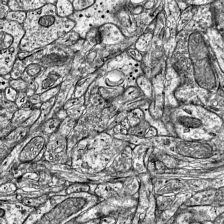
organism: Mouse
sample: Visual Cortex